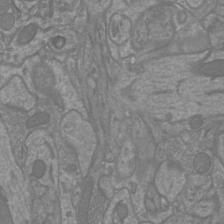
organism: Mouse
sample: Cortical neurons